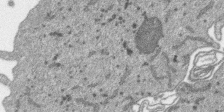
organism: Human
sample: Lung epithelial cells infected with SARS-CoV-2